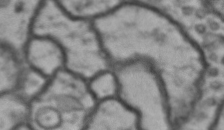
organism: Drosophila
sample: Brain